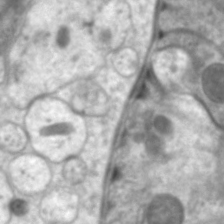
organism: C. elegans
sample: Pharynx